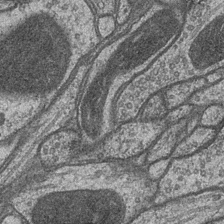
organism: Drosophila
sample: Optic medulla